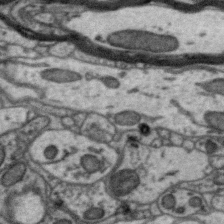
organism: Zebra finch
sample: Brain